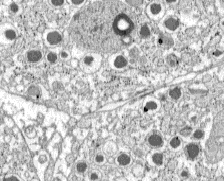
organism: C57BL Mouse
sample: Pancreatic islet